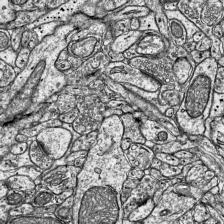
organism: Mouse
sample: Visual Cortex